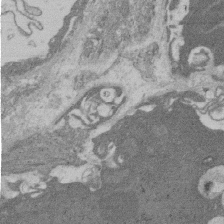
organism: Rat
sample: Salivary granule